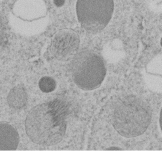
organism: C. elegans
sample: C. elegans embryo early stage